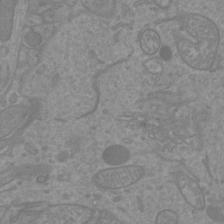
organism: Mouse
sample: Cortical neurons